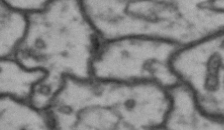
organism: Drosophila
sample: Brain